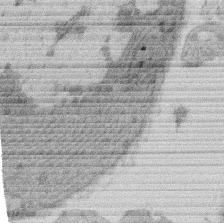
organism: Rat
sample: Salivary granule